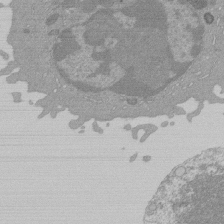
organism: Mouse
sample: Activated Pmel transgenic CD8+ T Cells